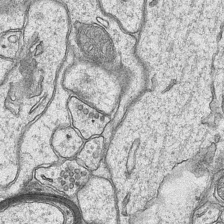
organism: Mouse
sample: CA1 Hippocampus